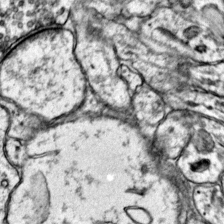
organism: Mouse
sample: Primary visual cortex